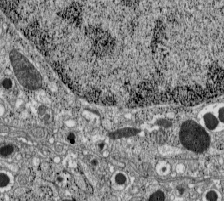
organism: C57BL Mouse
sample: Pancreatic islet